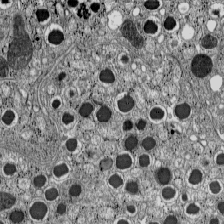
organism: C57BL Mouse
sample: Pancreatic islet